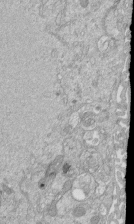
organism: Mouse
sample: ED-1 cell nuclei; centrioles